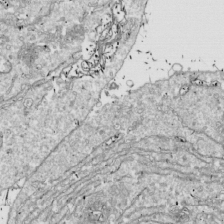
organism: Drosophila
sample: Cell division; meiosis; drosophila spermatocytes